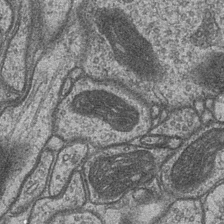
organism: Drosophila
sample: Optic medulla